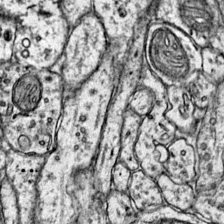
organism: Mouse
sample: Primary visual cortex